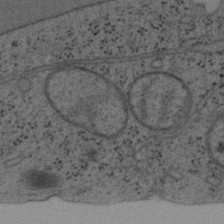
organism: Human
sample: HeLa cells